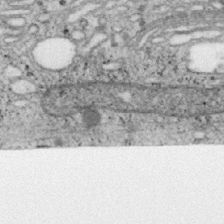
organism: Mouse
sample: OT-I killer T cells with ID8 ovarian cancer cells